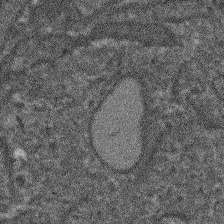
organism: Arabidopsis thaliana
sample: Root tip